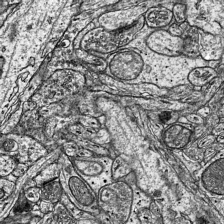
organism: Mouse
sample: Visual Cortex